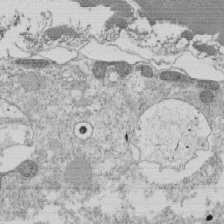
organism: Tetrahymena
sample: Cilia in tetrahymena